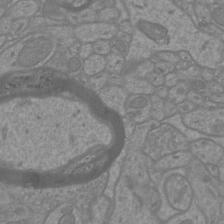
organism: Mouse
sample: Cortical neurons